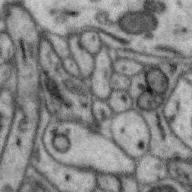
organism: Zebra finch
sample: Brain